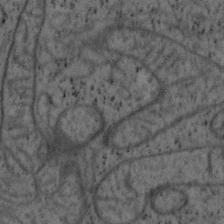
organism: Human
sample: HeLa cells